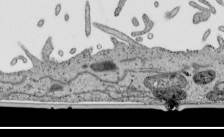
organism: Human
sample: Mitochondria in HCT116 cells